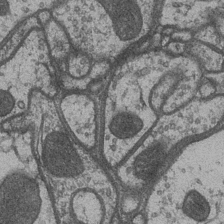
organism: Drosophila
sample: Optic medulla